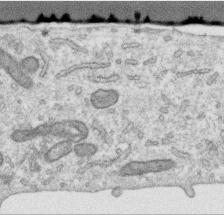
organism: Human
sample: Centriole in RPE cells